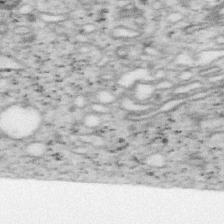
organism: Mouse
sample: OT-I killer T cells with ID8 ovarian cancer cells